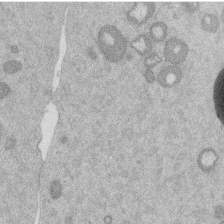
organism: Mouse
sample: Dividing mouse embryo 1 cell stage